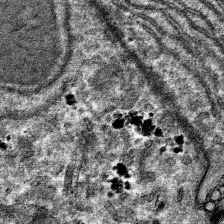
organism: Mouse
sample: Mouse hepatocytes